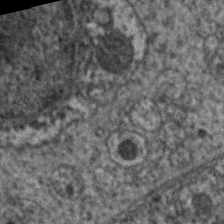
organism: C. elegans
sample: Pharynx